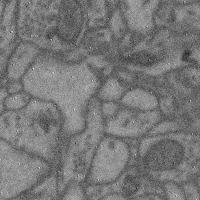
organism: Mouse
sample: Cerebral cortex